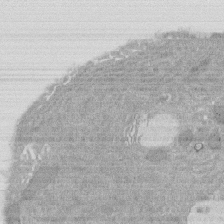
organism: Rat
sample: Salivary granule